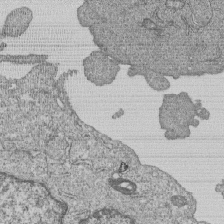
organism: Human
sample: MDA-MB-231 cells